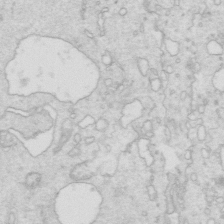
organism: Mouse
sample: Multiciliated cells